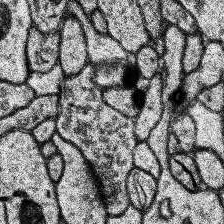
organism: Human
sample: Temporal Lobe